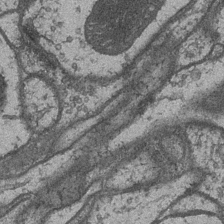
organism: Drosophila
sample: Optic medulla